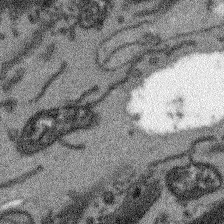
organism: Arabidopsis thaliana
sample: Root tip